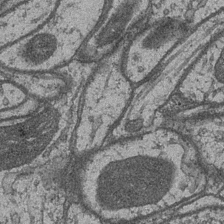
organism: Drosophila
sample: Optic medulla